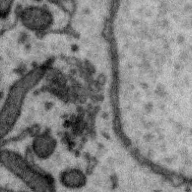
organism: Zebra finch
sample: Brain